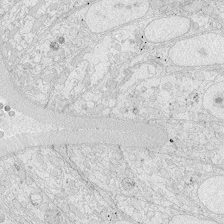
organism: Zebrafish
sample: Whole-Brain